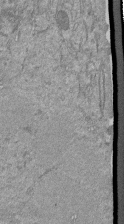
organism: Mouse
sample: ED-1 cell nuclei; centrioles